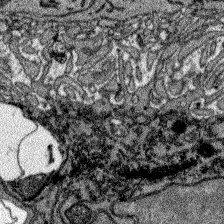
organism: Zebrafish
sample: Larval olfactory bulb